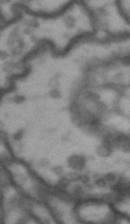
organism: Drosophila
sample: Brain